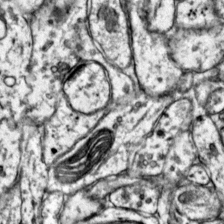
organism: Mouse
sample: Primary visual cortex